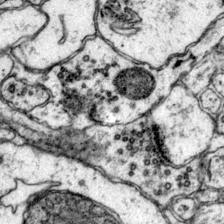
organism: Mouse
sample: Primary visual cortex